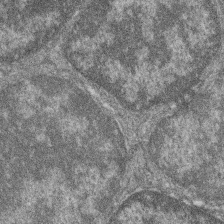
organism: Zebrafish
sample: Cilia; retinal pigment epithelium